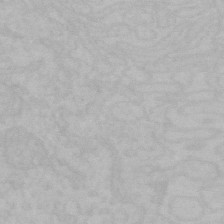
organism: Mouse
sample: Choroid plexus